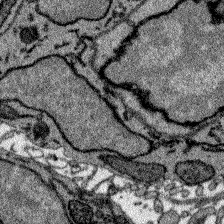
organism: Zebrafish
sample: Larval olfactory bulb